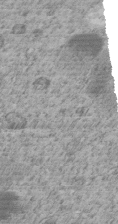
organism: C. elegans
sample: C. elegans embryo early stage